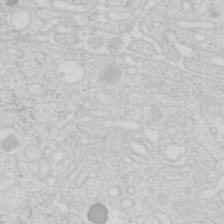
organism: Mouse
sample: Pancreas